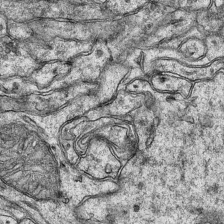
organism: Mouse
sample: CA1 Hippocampus